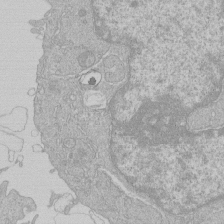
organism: Human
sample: Macrophage cells